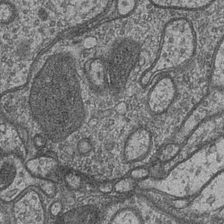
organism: Drosophila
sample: Optic medulla